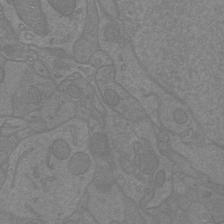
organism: Mouse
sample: Cortical neurons